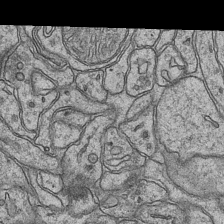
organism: Mouse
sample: CA1 Hippocampus